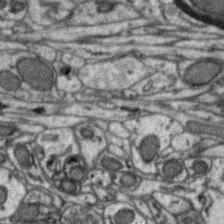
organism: Zebra finch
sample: Brain